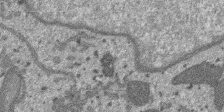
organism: Human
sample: Lung epithelial cells infected with SARS-CoV-2